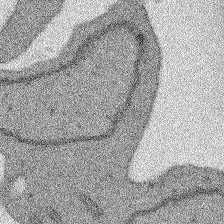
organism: Human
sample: HeLa cells